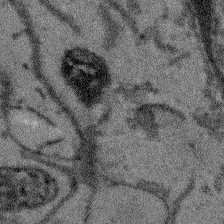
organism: Arabidopsis thaliana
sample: Root tip